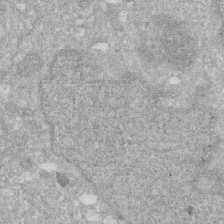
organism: Human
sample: HIV infected U937 cells